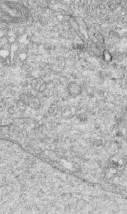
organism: Human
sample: HeLa cell HIV synapse